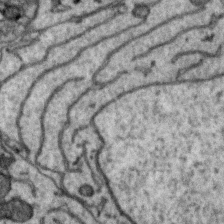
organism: Zebra finch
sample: Brain